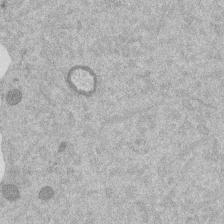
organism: Mouse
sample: Dividing mouse embryo 1 cell stage